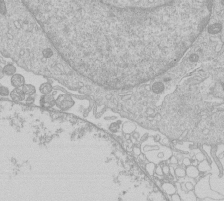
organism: Human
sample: Macrophage cells